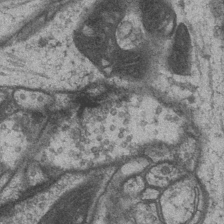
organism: Drosophila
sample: Optic medulla